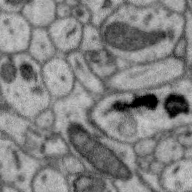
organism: Zebra finch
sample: Brain